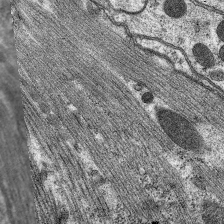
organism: C. elegans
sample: Pharynx